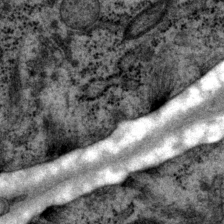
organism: P. pacificus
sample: Pharynx